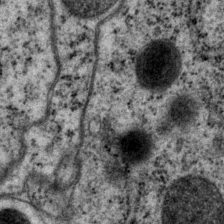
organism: P. pacificus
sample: Pharynx